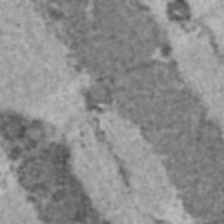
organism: C57BL Mouse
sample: Heart